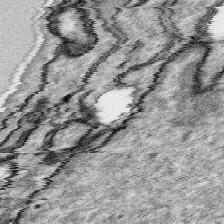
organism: Human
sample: HeLa cells